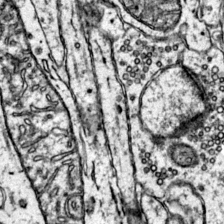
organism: Mouse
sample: Primary visual cortex